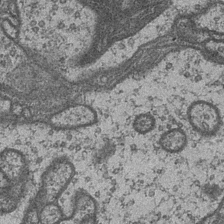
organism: Drosophila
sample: Optic medulla